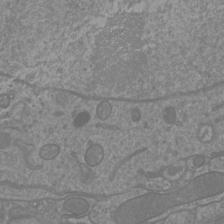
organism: Mouse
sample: Cortical neurons